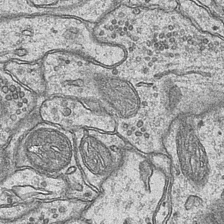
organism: Mouse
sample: CA1 Hippocampus